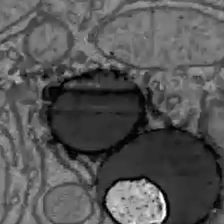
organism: C57BL Mouse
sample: Liver